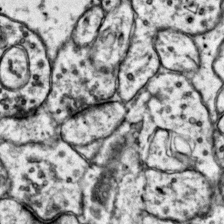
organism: Mouse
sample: Primary visual cortex